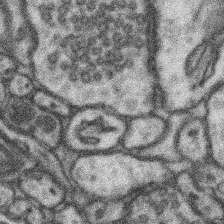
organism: Mouse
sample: Somatosensory cortex neuropil